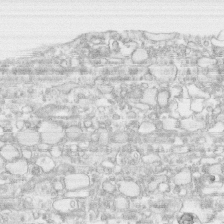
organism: Human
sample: CRL-1474